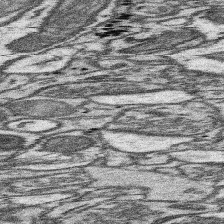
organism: Mouse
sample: Somatosensory cortex neuropil